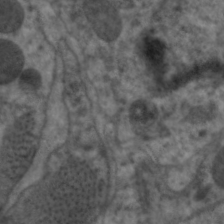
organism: C. elegans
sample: Pharynx